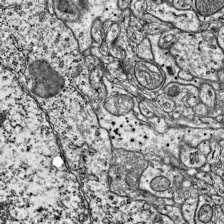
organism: Mouse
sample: Visual Cortex